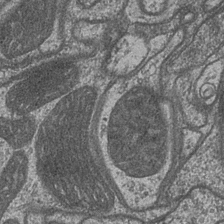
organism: Drosophila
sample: Optic medulla